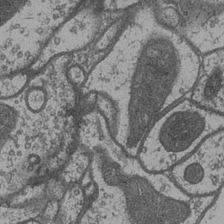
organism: Drosophila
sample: Optic medulla